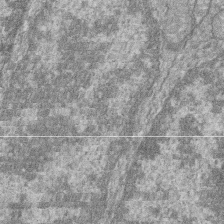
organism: Zebrafish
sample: Cilia; retinal pigment epithelium